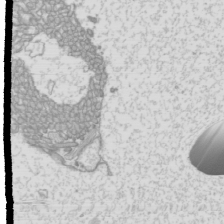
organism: Mouse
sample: Cilia; mouse epididymis